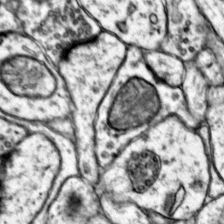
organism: Mouse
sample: Primary visual cortex